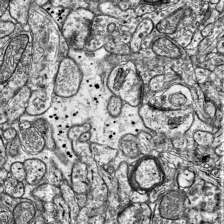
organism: Mouse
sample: Visual Cortex